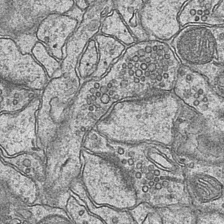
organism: Mouse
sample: CA1 Hippocampus